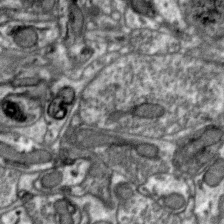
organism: Zebra finch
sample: Brain